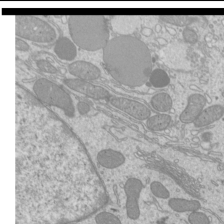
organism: Mouse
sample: Cilia; mouse epididymis